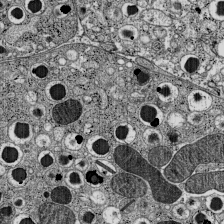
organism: C57BL Mouse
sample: Pancreatic islet